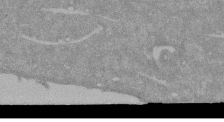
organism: Mouse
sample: ED-1 cell nuclei; centrioles